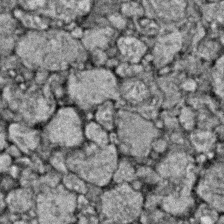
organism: Zebrafish